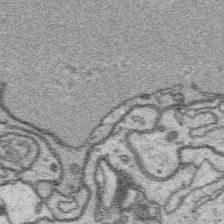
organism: Platynereis dumerilii